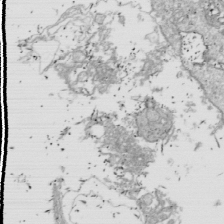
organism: Drosophila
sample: Cell division; meiosis; drosophila spermatocytes